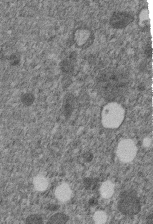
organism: C. elegans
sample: C. elegans embryo early stage